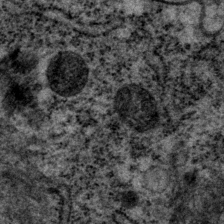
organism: P. pacificus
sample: Pharynx